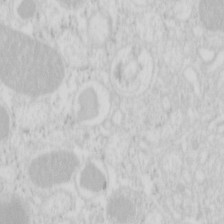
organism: Mouse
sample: Pancreas